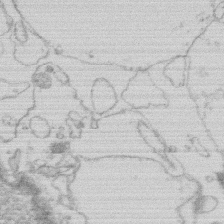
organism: Human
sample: Macrophage cells